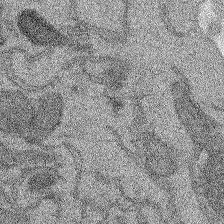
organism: Human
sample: HeLa cells